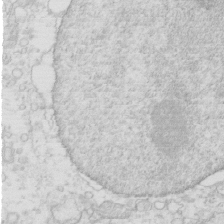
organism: Mouse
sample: Multiciliated cells